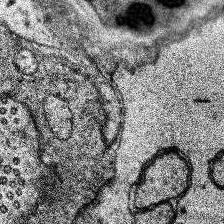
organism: Human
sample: Temporal Lobe